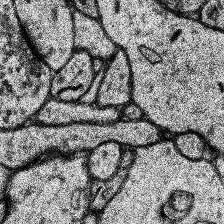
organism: Human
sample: Temporal Lobe